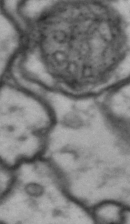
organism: Drosophila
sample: Brain